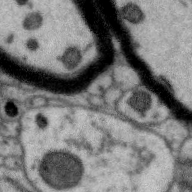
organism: Zebra finch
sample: Brain